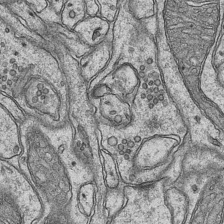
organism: Mouse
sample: CA1 Hippocampus